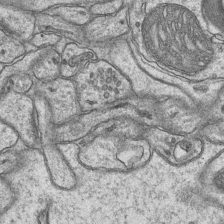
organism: Mouse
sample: CA1 Hippocampus